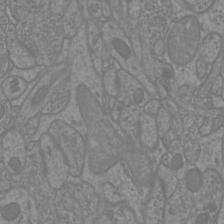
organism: Mouse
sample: Cortical neurons